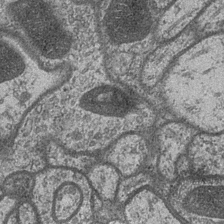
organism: Drosophila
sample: Optic medulla